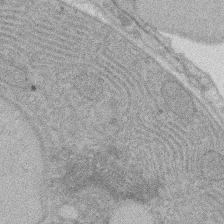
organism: Rat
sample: Salivary granule